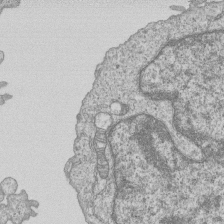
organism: Human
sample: MDA-MB-231 cells